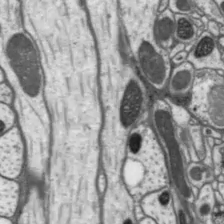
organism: Drosophila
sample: Protocerebral bridge